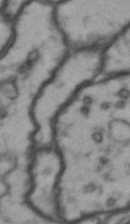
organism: Drosophila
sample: Brain